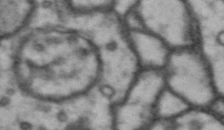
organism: Drosophila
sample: Brain